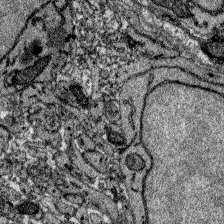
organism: Zebrafish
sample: Larval olfactory bulb